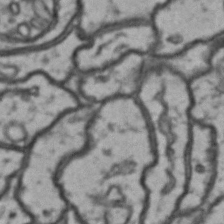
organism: Drosophila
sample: Brain